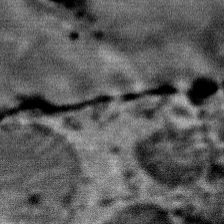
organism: Mouse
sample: Mouse Salivary gland